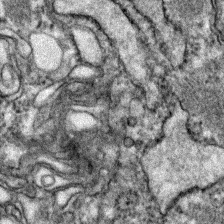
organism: Zebrafish